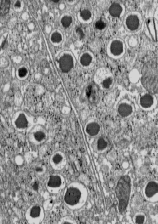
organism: C57BL Mouse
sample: Pancreatic islet